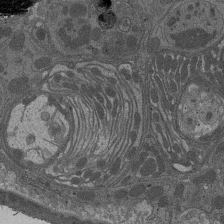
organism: Drosophila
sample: Antenna